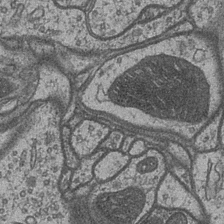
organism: Drosophila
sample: Optic medulla